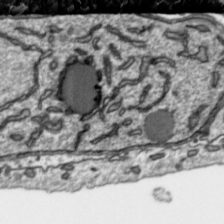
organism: Toxoplasma gondii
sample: Parasites in a vacuole inside a host cell